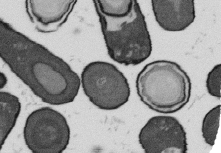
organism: B. subtilis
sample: Bacterial spore